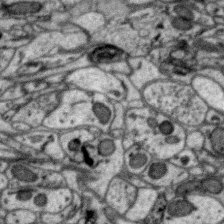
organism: Zebra finch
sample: Brain